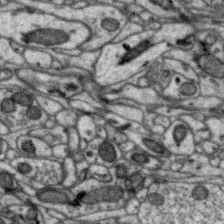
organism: Zebra finch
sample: Brain